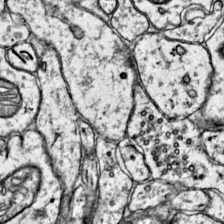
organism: Mouse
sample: Primary visual cortex